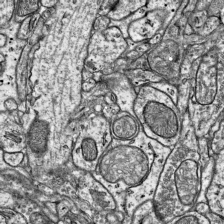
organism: Mouse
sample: Visual Cortex